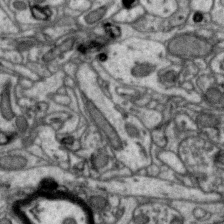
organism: Zebra finch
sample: Brain